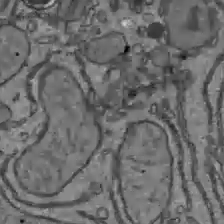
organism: C57BL Mouse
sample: Liver